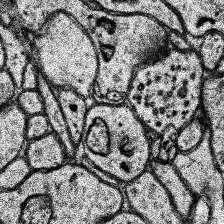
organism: Human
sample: Temporal Lobe